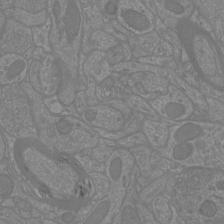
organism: Mouse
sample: Cortical neurons